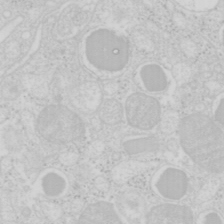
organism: Mouse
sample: Pancreas